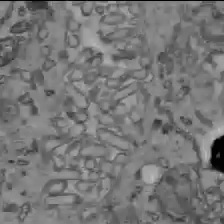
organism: C57BL Mouse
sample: Liver